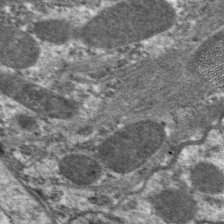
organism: C. elegans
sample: Pharynx